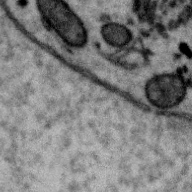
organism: Zebra finch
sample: Brain